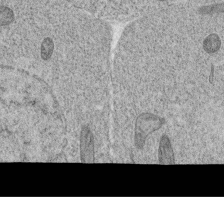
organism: C. elegans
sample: C. elegans oocyte; sperm cells